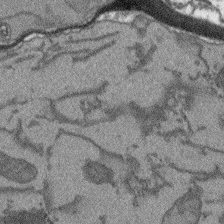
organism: Arabidopsis thaliana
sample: Root tip